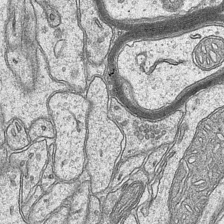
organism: Mouse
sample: CA1 Hippocampus